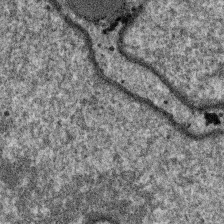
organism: Human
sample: Lung epithelial cells infected with SARS-CoV-2